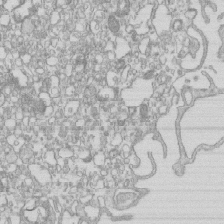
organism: Mouse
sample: Macrophages